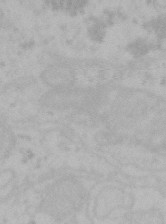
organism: Mouse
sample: Choroid plexus